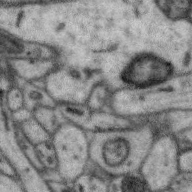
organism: Zebra finch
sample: Brain